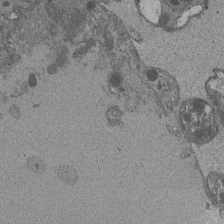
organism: Drosophila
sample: Antenna